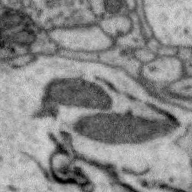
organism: Zebra finch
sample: Brain